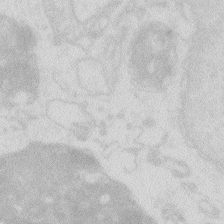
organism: Zebrafish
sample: Macrophage